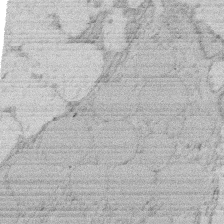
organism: Rat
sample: Salivary granule